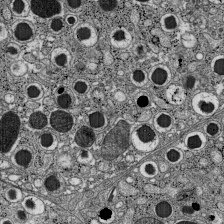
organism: C57BL Mouse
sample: Pancreatic islet